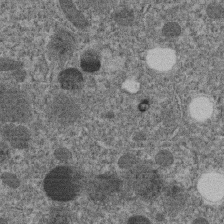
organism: C. elegans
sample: C. elegans embryo early stage